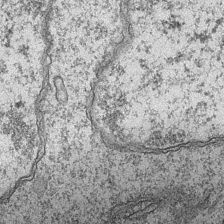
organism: Mouse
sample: CA1 Hippocampus